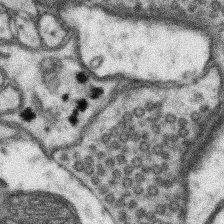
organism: Mouse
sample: Somatosensory cortex neuropil